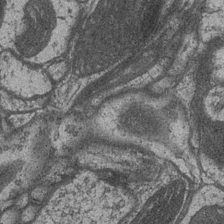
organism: Drosophila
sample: Optic medulla